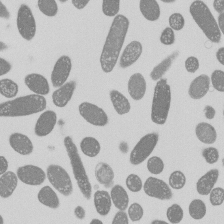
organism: E. coli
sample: Bacterial nucleoid